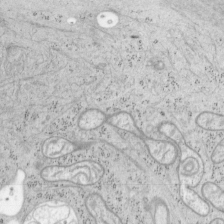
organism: Mouse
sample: OT-I killer T cells with ID8 ovarian cancer cells